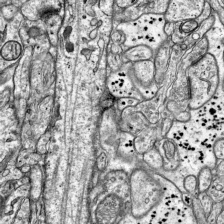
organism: Mouse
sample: Visual Cortex